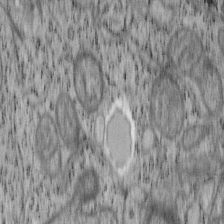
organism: Human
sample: HeLa cells